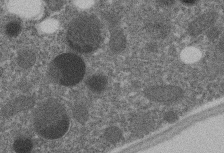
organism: C. elegans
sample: C. elegans embryo early stage